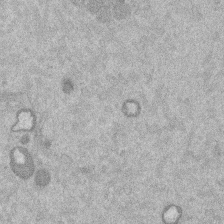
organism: Mouse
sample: Dividing mouse embryo 1 cell stage